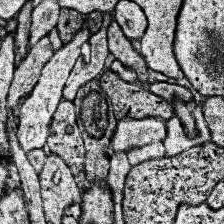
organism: Human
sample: Temporal Lobe